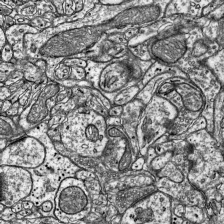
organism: Mouse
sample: Visual Cortex